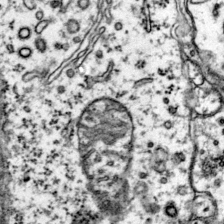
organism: Mouse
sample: Primary visual cortex